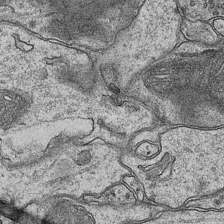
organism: Mouse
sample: CA1 Hippocampus